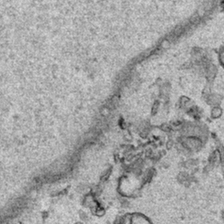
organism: Human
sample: Mitochondria in HCT116 cells